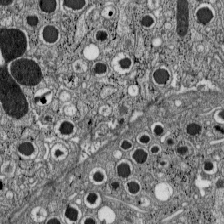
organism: C57BL Mouse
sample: Pancreatic islet